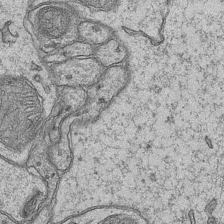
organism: Mouse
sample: CA1 Hippocampus